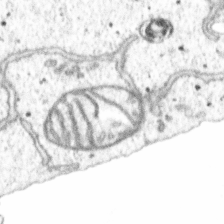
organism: Human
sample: HeLa cells